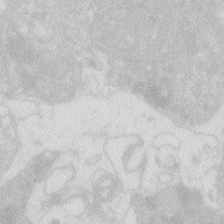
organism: Zebrafish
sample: Macrophage